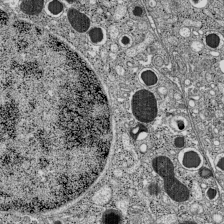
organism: C57BL Mouse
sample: Pancreatic islet